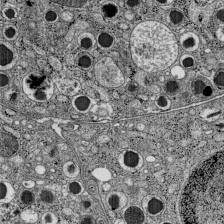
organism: C57BL Mouse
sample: Pancreatic islet